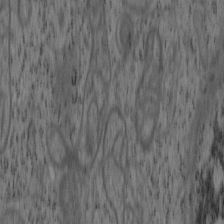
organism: Human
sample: HeLa cells